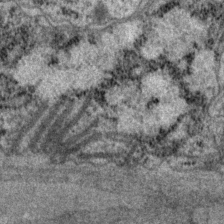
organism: P. pacificus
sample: Pharynx